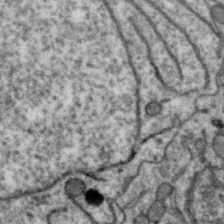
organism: Zebra finch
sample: Brain